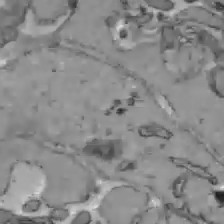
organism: C57BL Mouse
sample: Liver